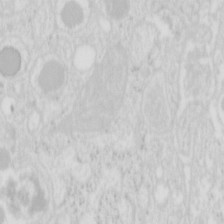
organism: Mouse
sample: Pancreas